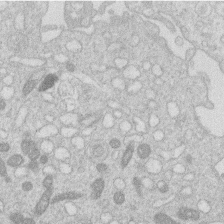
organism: Human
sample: Macrophage cells